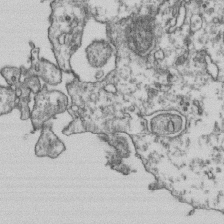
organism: Human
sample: Activated Jurkat CD4+ T cells